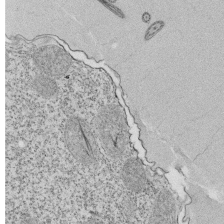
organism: Tetrahymena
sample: Cilia in tetrahymena